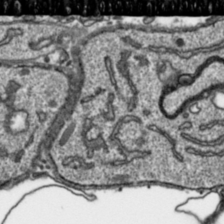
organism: Toxoplasma gondii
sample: Parasites in a vacuole inside a host cell